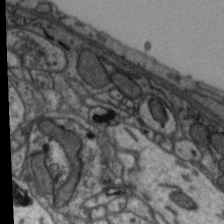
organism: Zebra finch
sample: Brain